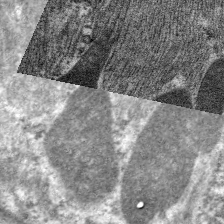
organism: C. elegans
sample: Pharynx